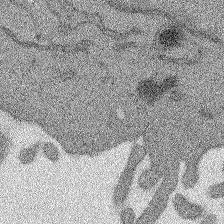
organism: Human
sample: HeLa cells